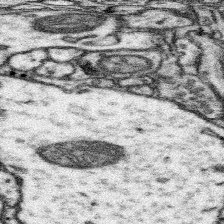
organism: Mouse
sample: Somatosensory cortex neuropil